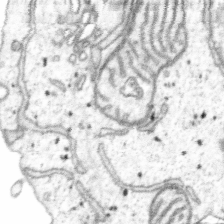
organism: Human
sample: HeLa cells